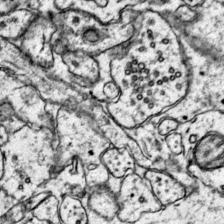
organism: Mouse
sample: Primary visual cortex